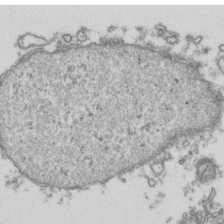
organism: Human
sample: Activated Jurkat CD4+ T cells